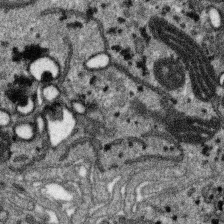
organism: Human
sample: Lung epithelial cells infected with SARS-CoV-2